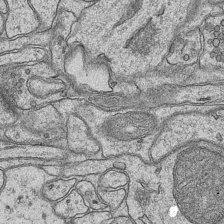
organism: Mouse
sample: CA1 Hippocampus